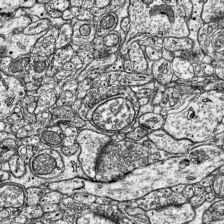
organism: Mouse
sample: Visual Cortex